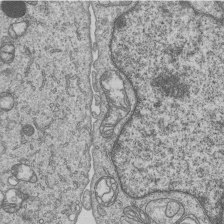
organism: Human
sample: MDA-MB-231 cells